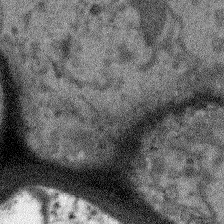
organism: Arabidopsis thaliana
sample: Root tip